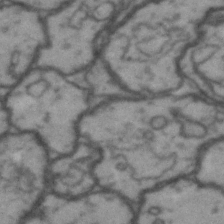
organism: Drosophila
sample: Brain